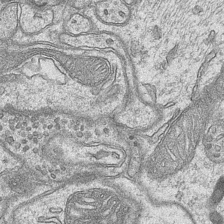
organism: Mouse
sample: CA1 Hippocampus